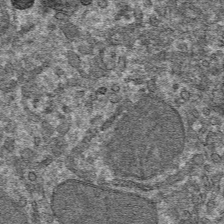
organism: Mouse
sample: Mouse hepatocytes